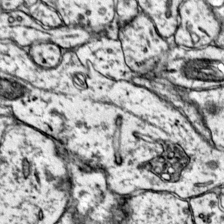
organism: Mouse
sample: Primary visual cortex